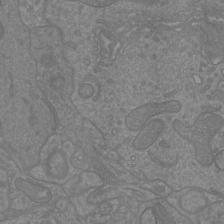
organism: Mouse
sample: Cortical neurons